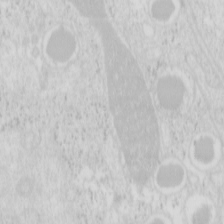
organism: Mouse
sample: Pancreas